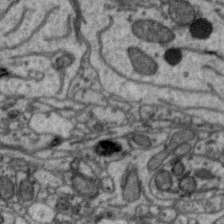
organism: Zebra finch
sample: Brain